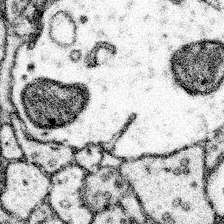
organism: Mouse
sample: Somatosensory cortex neuropil